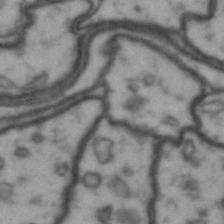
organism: Drosophila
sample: Brain